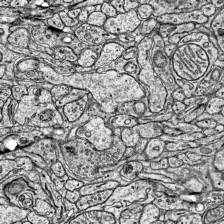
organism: Mouse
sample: Visual Cortex